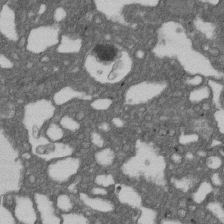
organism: Drosophila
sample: Nephrocyte